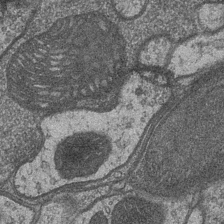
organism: Drosophila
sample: Optic medulla